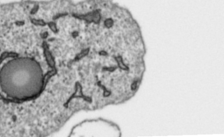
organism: Toxoplasma gondii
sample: Parasites in a vacuole inside a host cell